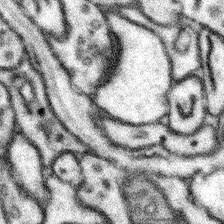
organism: Mouse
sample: Somatosensory cortex neuropil